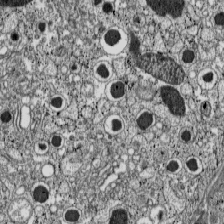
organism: C57BL Mouse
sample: Pancreatic islet